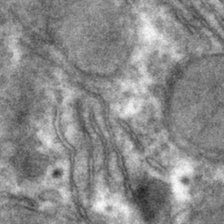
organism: Mouse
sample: Mouse hepatocytes